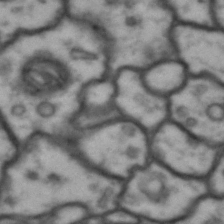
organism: Drosophila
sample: Brain